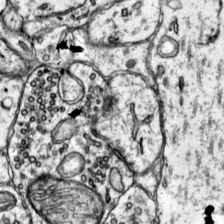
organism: Mouse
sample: Primary visual cortex